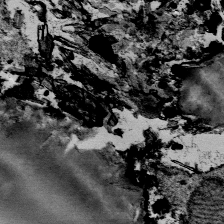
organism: Mouse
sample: Mouse Salivary gland